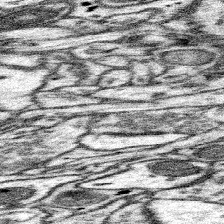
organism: Mouse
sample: Somatosensory cortex neuropil